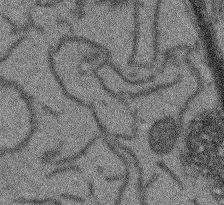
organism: Arabidopsis thaliana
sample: Root tip